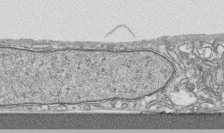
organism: Human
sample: CRL-1474